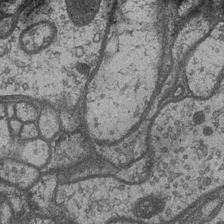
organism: Drosophila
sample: Optic medulla